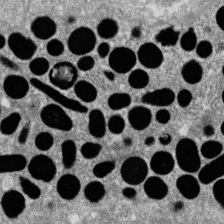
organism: Zebrafish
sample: Cilia; retinal pigment epithelium